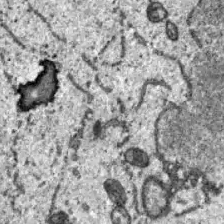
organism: Human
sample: HeLa cells